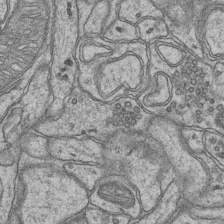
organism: Mouse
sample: CA1 Hippocampus